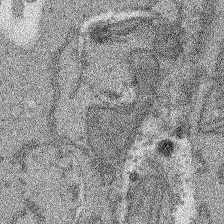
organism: Human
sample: HeLa cells